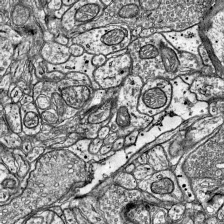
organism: Mouse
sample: Visual Cortex